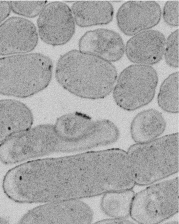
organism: E. coli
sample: Bacterial nucleoid